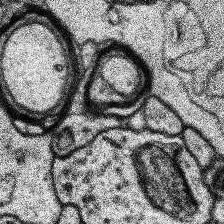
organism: Human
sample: Temporal Lobe